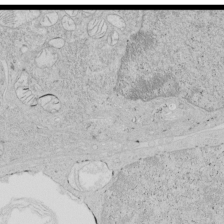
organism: Human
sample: Mitochondria in HCT116 cells